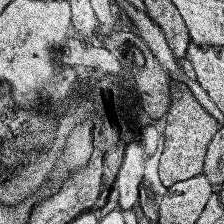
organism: Human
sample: Temporal Lobe